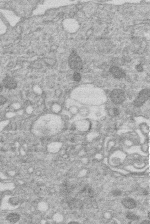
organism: Human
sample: Macrophage cells